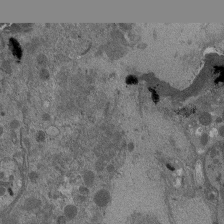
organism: Drosophila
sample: Antenna